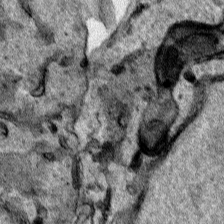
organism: Human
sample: Mitochondria in HCT116 cells